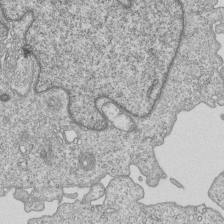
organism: Human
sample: MDA-MB-231 cells